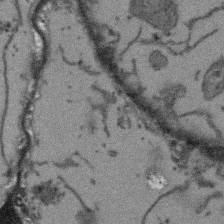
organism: Arabidopsis thaliana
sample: Root tip